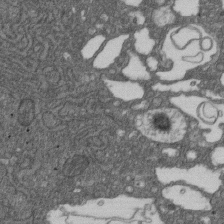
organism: Drosophila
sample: Nephrocyte